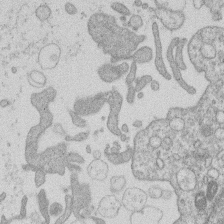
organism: Human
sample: Macrophage cells